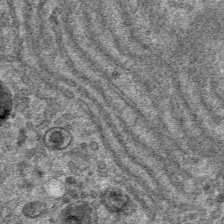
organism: Mouse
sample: Mouse hepatocytes